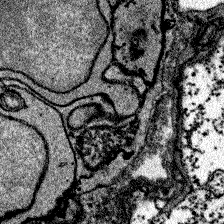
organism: Zebrafish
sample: Larval olfactory bulb